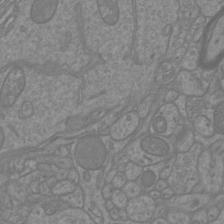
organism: Mouse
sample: Cortical neurons